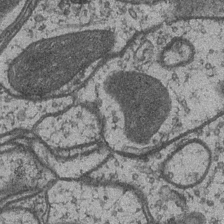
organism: Drosophila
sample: Optic medulla